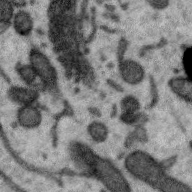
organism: Zebra finch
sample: Brain